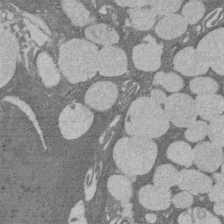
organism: Rat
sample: Salivary granule